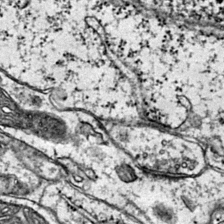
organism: Mouse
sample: Primary visual cortex